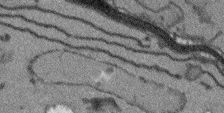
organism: Arabidopsis thaliana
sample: Root tip